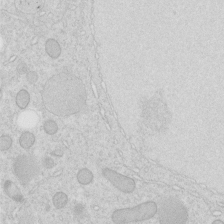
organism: C. elegans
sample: C. elegans embryo early stage